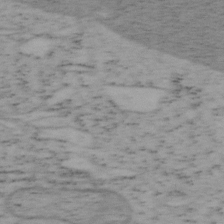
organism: Mouse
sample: OT-I killer T cells with ID8 ovarian cancer cells